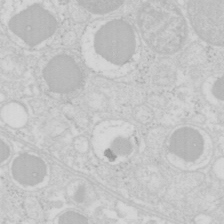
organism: Mouse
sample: Pancreas